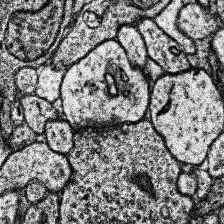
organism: Human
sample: Temporal Lobe